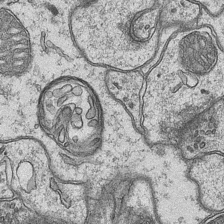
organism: Mouse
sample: CA1 Hippocampus